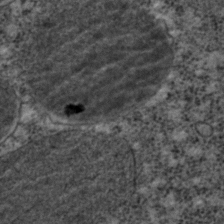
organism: C. elegans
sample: C. elegans embryo